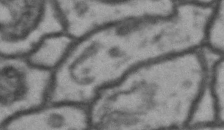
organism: Drosophila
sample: Brain